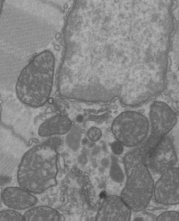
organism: C57BL Mouse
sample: Heart